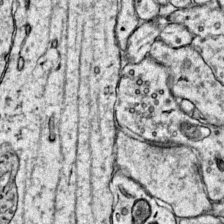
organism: Mouse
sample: Primary visual cortex